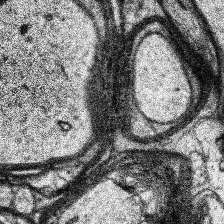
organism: Human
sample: Temporal Lobe